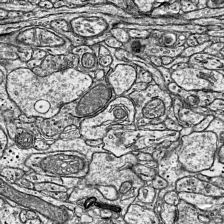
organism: Mouse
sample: Visual Cortex